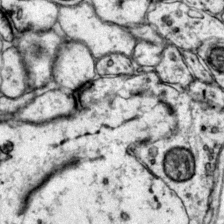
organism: Mouse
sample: Primary visual cortex